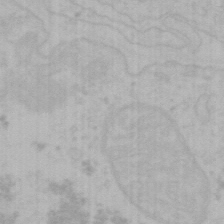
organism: Mouse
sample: Choroid plexus